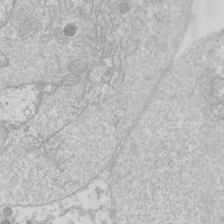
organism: Drosophila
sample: Cell division; meiosis; drosophila spermatocytes